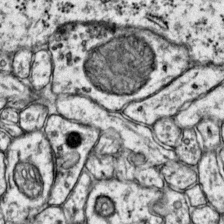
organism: Mouse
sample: Primary visual cortex